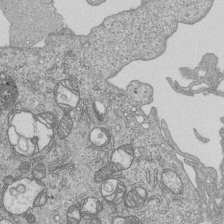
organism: Human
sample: MDA-MB-231 cells